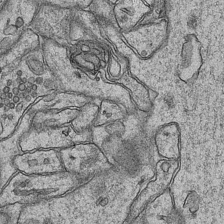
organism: Mouse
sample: CA1 Hippocampus